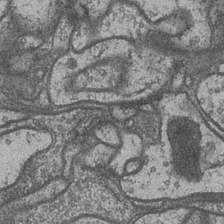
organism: Drosophila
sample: Optic medulla